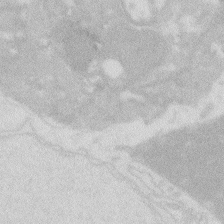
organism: Zebrafish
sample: Macrophage